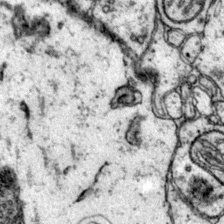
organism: Mouse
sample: Primary visual cortex